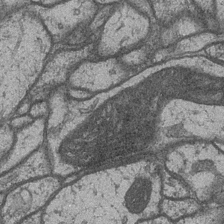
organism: Drosophila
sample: Optic medulla